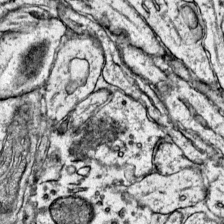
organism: Mouse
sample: Primary visual cortex